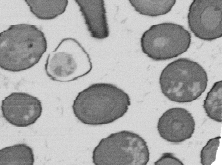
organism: B. subtilis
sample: Bacterial spore